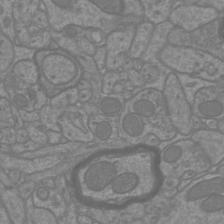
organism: Mouse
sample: Cortical neurons